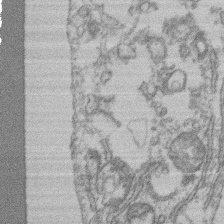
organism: Mouse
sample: T cell stromal cell synapse